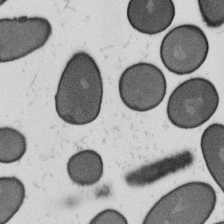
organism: B. subtilis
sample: Bacterial spore